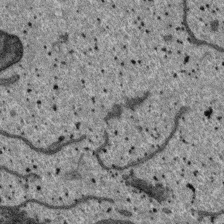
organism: Human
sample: Lung epithelial cells, uninfected (mock) control